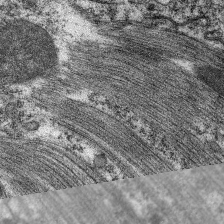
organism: C. elegans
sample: Pharynx